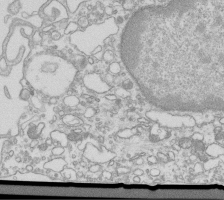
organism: Mouse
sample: Macrophages